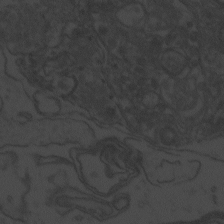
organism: Zebrafish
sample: Macrophage infected with Toxoplasma gondii